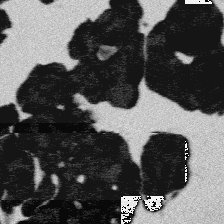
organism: Platynereis dumerilii